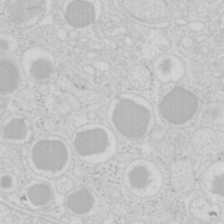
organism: Mouse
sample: Pancreas